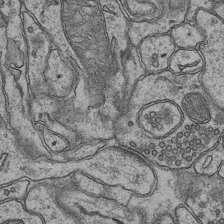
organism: Mouse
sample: CA1 Hippocampus